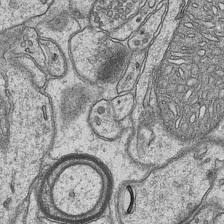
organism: Mouse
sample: CA1 Hippocampus